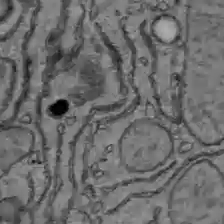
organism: C57BL Mouse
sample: Liver